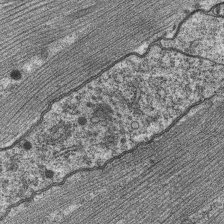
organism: C. elegans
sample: Pharynx